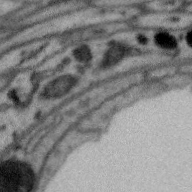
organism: Zebra finch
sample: Brain